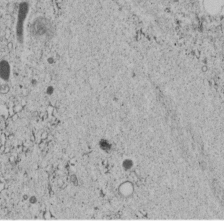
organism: C. elegans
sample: C. elegans embryo early stage